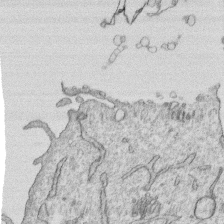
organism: Human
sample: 1205lu cells